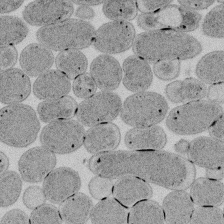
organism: E. coli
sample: Bacterial nucleoid